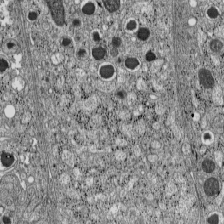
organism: C57BL Mouse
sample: Pancreatic islet